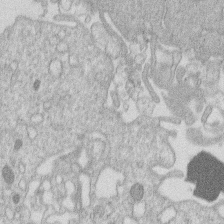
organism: Human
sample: Macrophage cells